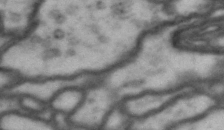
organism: Drosophila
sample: Brain